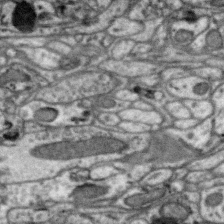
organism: Zebra finch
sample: Brain